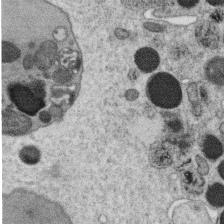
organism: C. elegans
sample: C. elegans oocyte; sperm cells